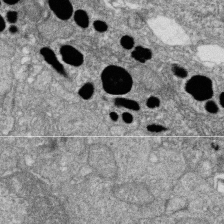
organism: Zebrafish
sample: Cilia; retinal pigment epithelium